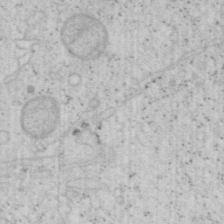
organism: Human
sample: HeLa cells